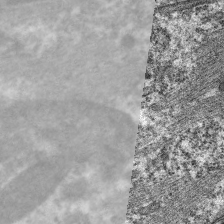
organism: C. elegans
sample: Pharynx